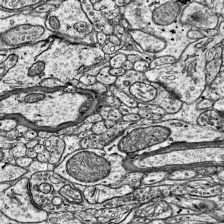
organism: Mouse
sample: Visual Cortex